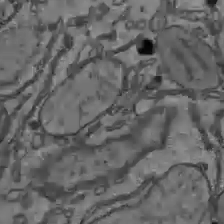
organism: C57BL Mouse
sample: Liver